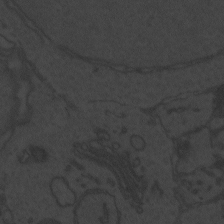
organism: Zebrafish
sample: Macrophage infected with Toxoplasma gondii